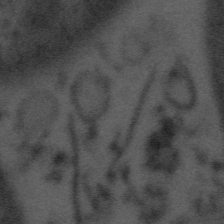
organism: Tuwongella immobilis